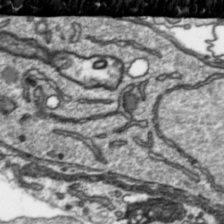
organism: Toxoplasma gondii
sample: Parasites in a vacuole inside a host cell